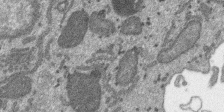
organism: Human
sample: Lung epithelial cells infected with SARS-CoV-2